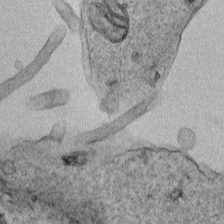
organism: Human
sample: Mitochondria in HCT116 cells